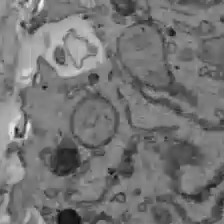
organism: C57BL Mouse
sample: Liver